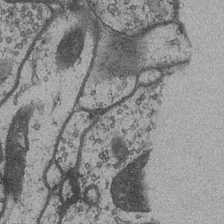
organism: Drosophila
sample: Optic medulla